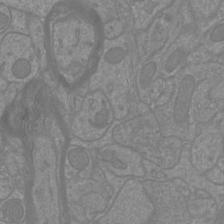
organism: Mouse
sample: Cortical neurons